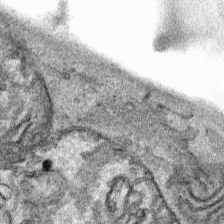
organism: Human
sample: Mitochondria in HCT116 cells